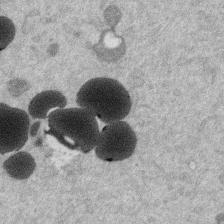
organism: Mouse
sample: Dividing mouse embryo 1 cell stage